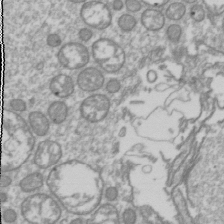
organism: Drosophila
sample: Cell division; meiosis; drosophila spermatocytes